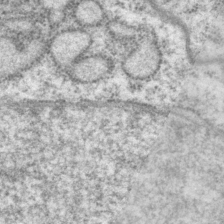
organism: P. pacificus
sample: Pharynx